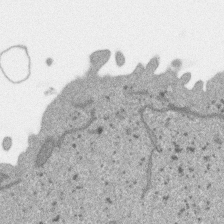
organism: Human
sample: Lung epithelial cells infected with SARS-CoV-2